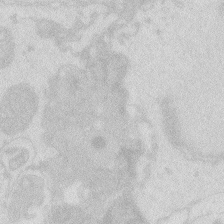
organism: Zebrafish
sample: Macrophage